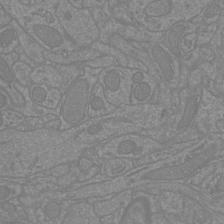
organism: Mouse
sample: Cortical neurons